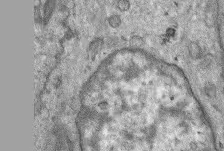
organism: Mouse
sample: Corneal nerves